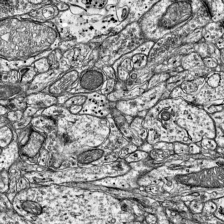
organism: Mouse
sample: Visual Cortex